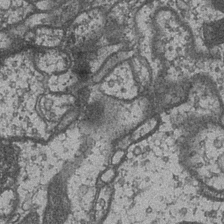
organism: Drosophila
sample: Optic medulla